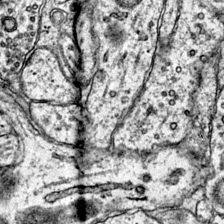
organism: Mouse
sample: Primary visual cortex